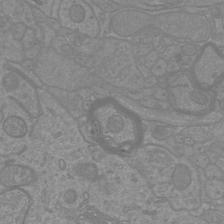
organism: Mouse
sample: Cortical neurons